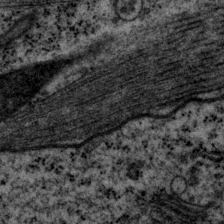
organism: P. pacificus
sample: Pharynx